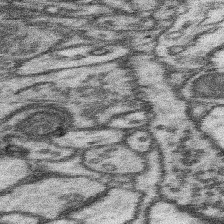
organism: Mouse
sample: Somatosensory cortex neuropil